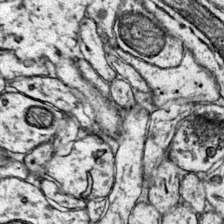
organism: Mouse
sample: Primary visual cortex